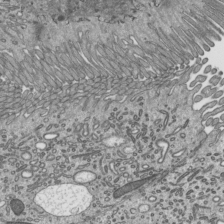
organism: Mouse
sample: Mouse epididymis efferent ductule cilia